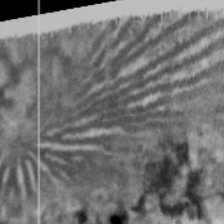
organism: Cable bacterium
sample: Filament